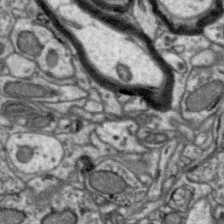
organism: Zebra finch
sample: Brain